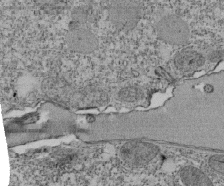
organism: Tetrahymena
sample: Cilia in tetrahymena